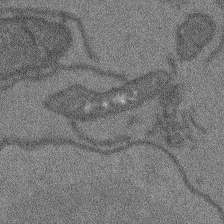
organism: Arabidopsis thaliana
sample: Root tip